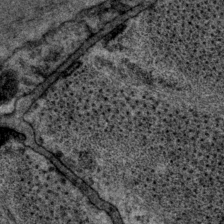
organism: P. pacificus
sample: Pharynx